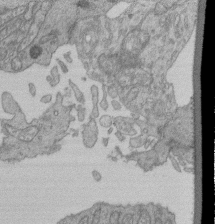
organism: Human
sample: Retinal organoid Rod and Cone cells